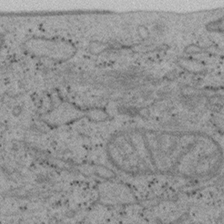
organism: Human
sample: HeLa cells